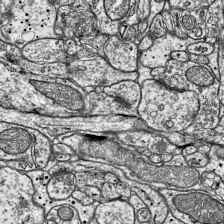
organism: Mouse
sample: Visual Cortex